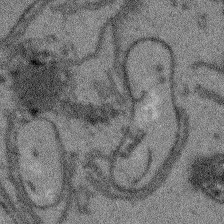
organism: Arabidopsis thaliana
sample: Root tip